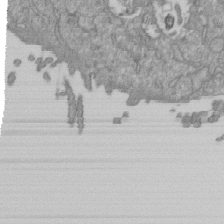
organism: Mouse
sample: ED-1 cell nuclei; centrioles